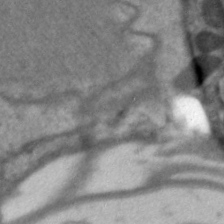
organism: C. elegans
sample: Pharynx